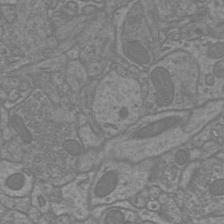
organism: Mouse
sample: Cortical neurons